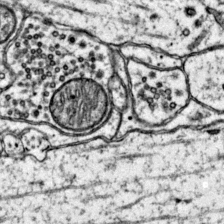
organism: Mouse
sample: Primary visual cortex